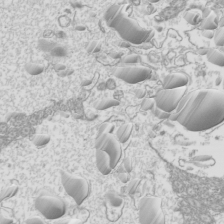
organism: Mouse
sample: Cilia; mouse epididymis